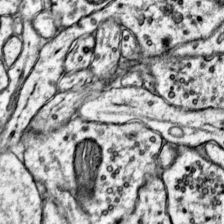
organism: Mouse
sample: Primary visual cortex